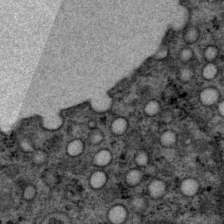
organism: P. pacificus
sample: Pharynx